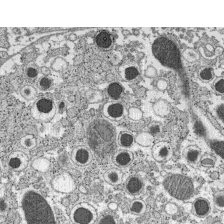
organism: C57BL Mouse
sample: Pancreatic islet